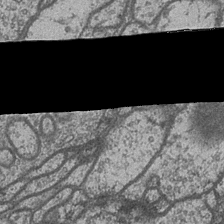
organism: Drosophila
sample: Optic medulla